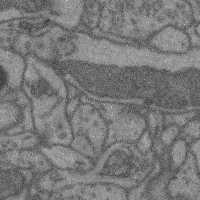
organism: Mouse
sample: Cerebral cortex